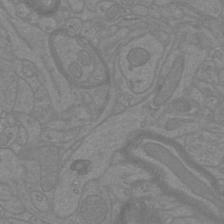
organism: Mouse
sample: Cortical neurons